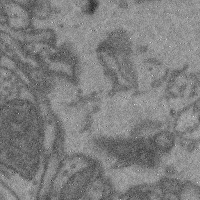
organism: Mouse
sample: Cerebral cortex